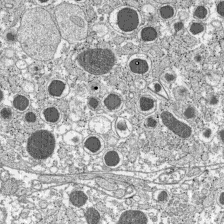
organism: C57BL Mouse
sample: Pancreatic islet